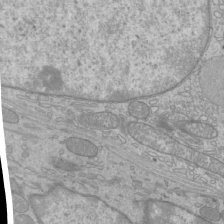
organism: Mouse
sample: Cilia; mouse epididymis